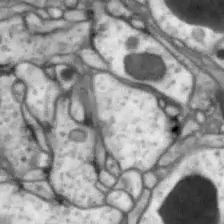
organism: Drosophila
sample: Optic lobe